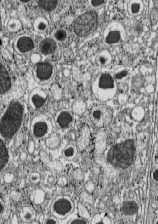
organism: C57BL Mouse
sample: Pancreatic islet